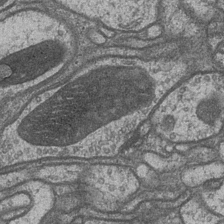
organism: Drosophila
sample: Optic medulla